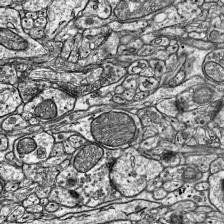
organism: Mouse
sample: Visual Cortex